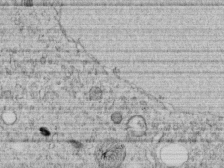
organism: C. elegans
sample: C. elegans embryo early stage